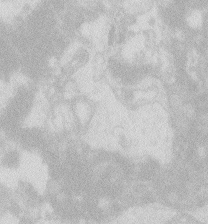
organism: Zebrafish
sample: Macrophage